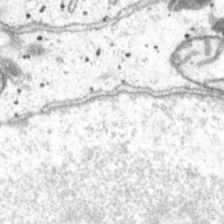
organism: Human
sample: HeLa cells